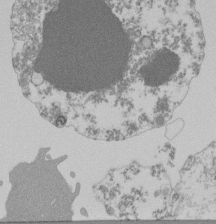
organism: Mouse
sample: Activated Pmel transgenic CD8+ T Cells